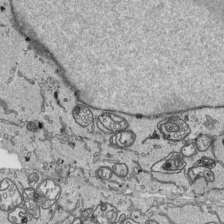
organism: Human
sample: Mitochondria in HCT116 cells